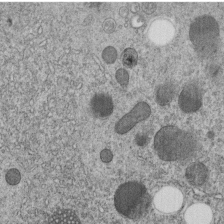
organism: C. elegans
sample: C. elegans embryo early stage